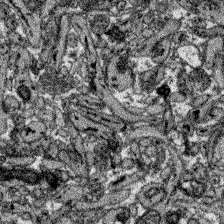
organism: Zebrafish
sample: Larval olfactory bulb